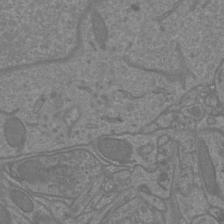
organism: Mouse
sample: Cortical neurons